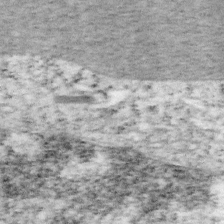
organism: Mouse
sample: OT-I killer T cells with ID8 ovarian cancer cells